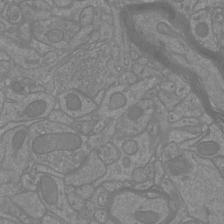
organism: Mouse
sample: Cortical neurons